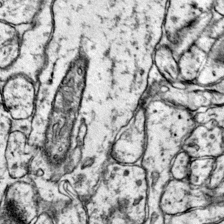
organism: Mouse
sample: Primary visual cortex